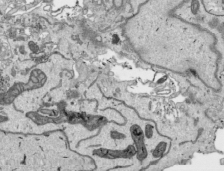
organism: Human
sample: Mitochondria in HCT116 cells